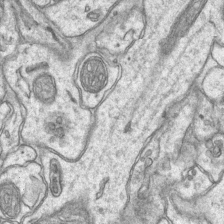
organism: Mouse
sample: CA1 Hippocampus